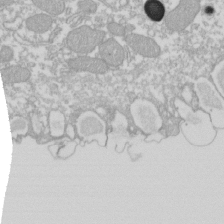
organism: Xenopus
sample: Cilia; centrioles in frog embryo cells